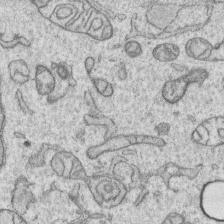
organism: Human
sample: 1205lu cells